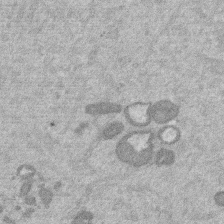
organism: Mouse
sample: Dividing mouse embryo 1 cell stage